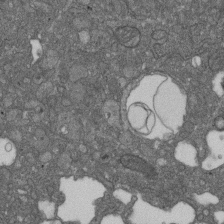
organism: Drosophila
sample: Nephrocyte